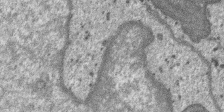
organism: Human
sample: Lung epithelial cells infected with SARS-CoV-2